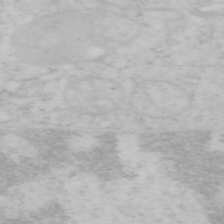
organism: Mouse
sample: OT-I killer T cells with ID8 ovarian cancer cells